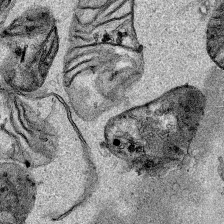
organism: Human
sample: Mitochondria in HCT116 cells